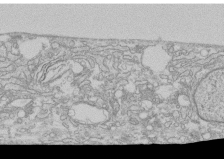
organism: Human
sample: CRL-1474